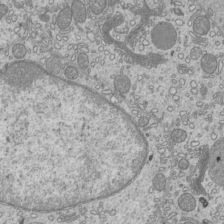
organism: Mouse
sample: Cilia; mouse epididymis